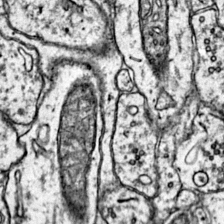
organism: Mouse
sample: Primary visual cortex